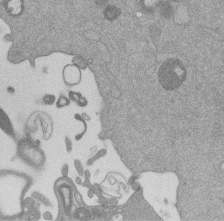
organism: Mouse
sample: Dividing mouse embryo 1 cell stage